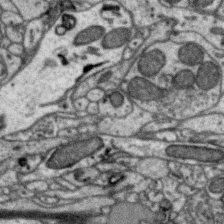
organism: Zebra finch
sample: Brain